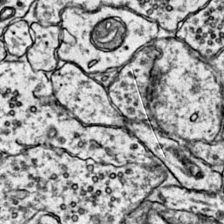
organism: Mouse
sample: Primary visual cortex